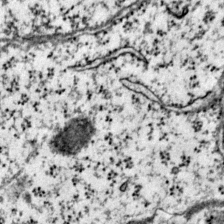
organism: Mouse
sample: Primary visual cortex